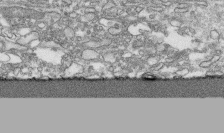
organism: Human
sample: CRL-1474